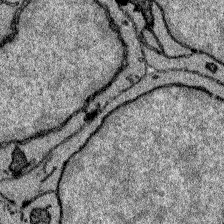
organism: Zebrafish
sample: Larval olfactory bulb